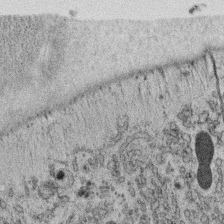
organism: C. elegans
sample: C. elegans oocyte; sperm cells